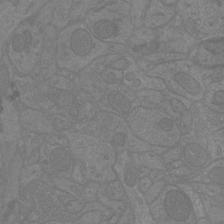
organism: Mouse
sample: Cortical neurons